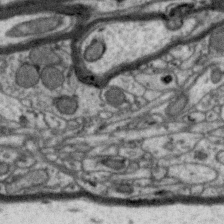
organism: Zebra finch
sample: Brain